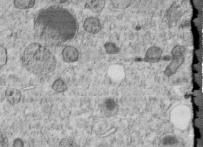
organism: C. elegans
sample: C. elegans embryo early stage